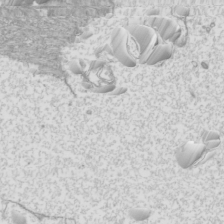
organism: Mouse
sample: Cilia; mouse epididymis